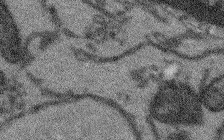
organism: Arabidopsis thaliana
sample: Root tip